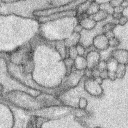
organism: Rabbit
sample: Retina